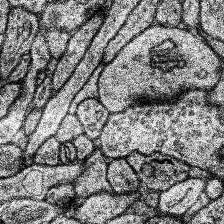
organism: Human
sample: Temporal Lobe